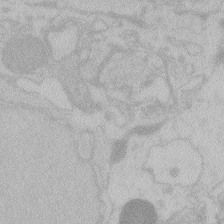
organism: Zebrafish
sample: Macrophage infected with Toxoplasma gondii